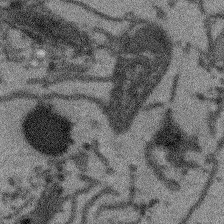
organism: Arabidopsis thaliana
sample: Root tip